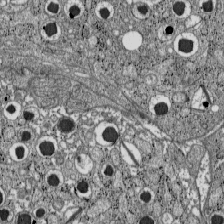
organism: C57BL Mouse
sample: Pancreatic islet